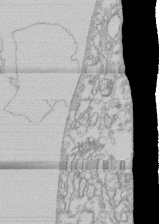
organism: Human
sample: CRL-1474